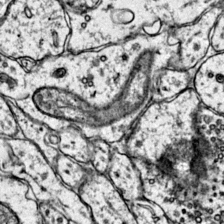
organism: Mouse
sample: Primary visual cortex